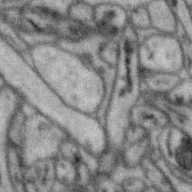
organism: Zebra finch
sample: Brain